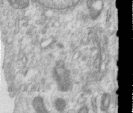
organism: Human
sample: Centriole in RPE cells